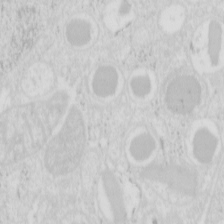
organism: Mouse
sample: Pancreas